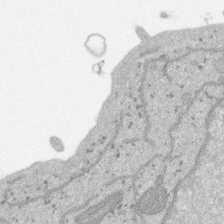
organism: Human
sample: Lung epithelial cells infected with SARS-CoV-2